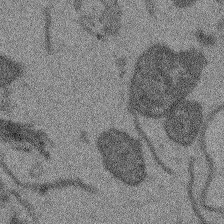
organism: Arabidopsis thaliana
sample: Root tip